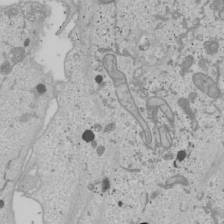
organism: Human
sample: Mitochondria in U2OS cells